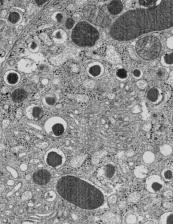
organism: C57BL Mouse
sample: Pancreatic islet